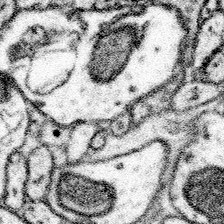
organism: Mouse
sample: Somatosensory cortex neuropil